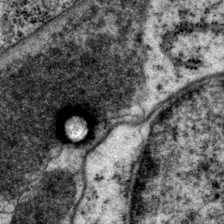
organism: P. pacificus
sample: Pharynx